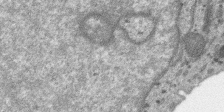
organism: Human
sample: Lung epithelial cells infected with SARS-CoV-2